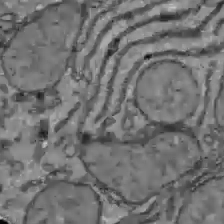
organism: C57BL Mouse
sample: Liver